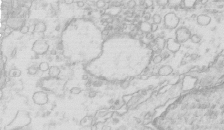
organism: Mouse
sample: Multiciliated cells